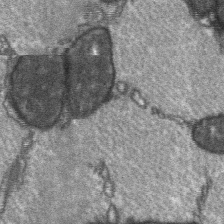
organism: C57BL Mouse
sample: Soleus